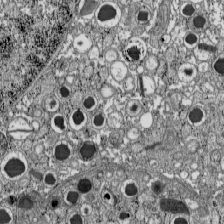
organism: C57BL Mouse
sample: Pancreatic islet